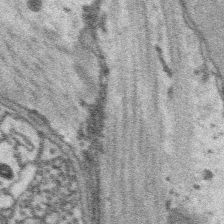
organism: Platynereis dumerilii